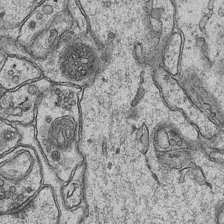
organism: Mouse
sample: CA1 Hippocampus